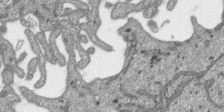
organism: Human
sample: Lung epithelial cells infected with SARS-CoV-2